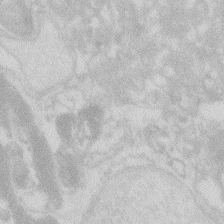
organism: Zebrafish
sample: Macrophage